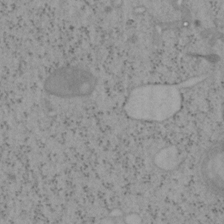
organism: Mouse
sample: OT-I killer T cells with ID8 ovarian cancer cells